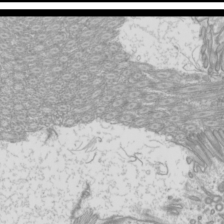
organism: Mouse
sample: Cilia; mouse epididymis